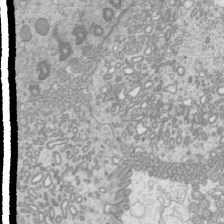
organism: Mouse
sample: Cilia; mouse epididymis